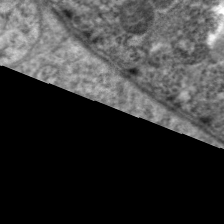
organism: C. elegans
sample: Pharynx